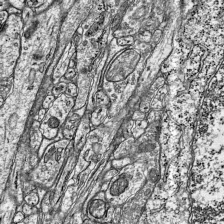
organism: Mouse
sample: Visual Cortex